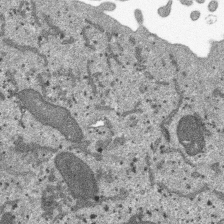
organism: Human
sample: Lung epithelial cells infected with SARS-CoV-2